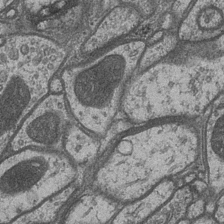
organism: Drosophila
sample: Optic medulla